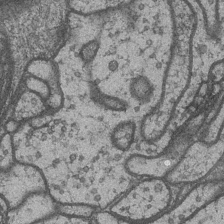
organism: Drosophila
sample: Optic medulla